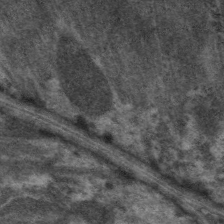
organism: C. elegans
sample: Pharynx